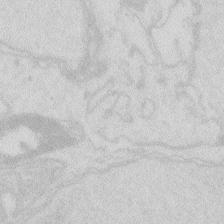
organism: Zebrafish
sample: Macrophage